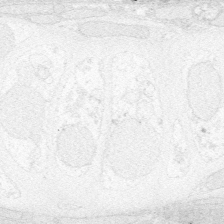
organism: Zebrafish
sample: Whole-Brain